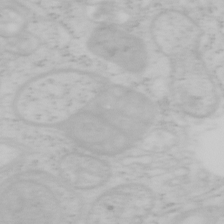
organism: Mouse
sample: OT-I killer T cells with ID8 ovarian cancer cells